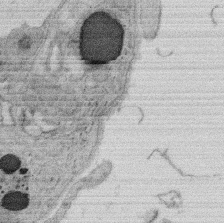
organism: Rat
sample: Salivary granule